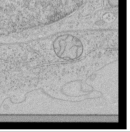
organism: Human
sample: Mitochondria in HCT116 cells